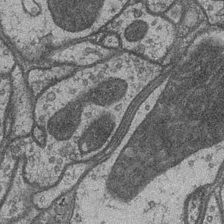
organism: Drosophila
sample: Optic medulla